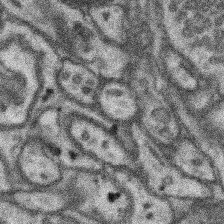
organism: Mouse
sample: Somatosensory cortex neuropil